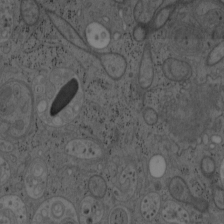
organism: Mouse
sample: OT-I killer T cells with ID8 ovarian cancer cells